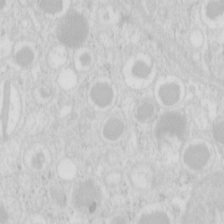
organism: Mouse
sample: Pancreas